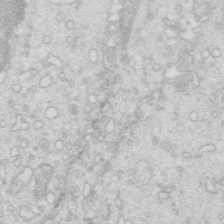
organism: Mouse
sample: Multiciliated cells